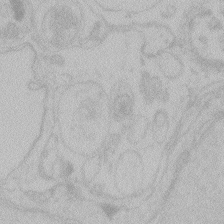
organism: Zebrafish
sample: Macrophage infected with Toxoplasma gondii